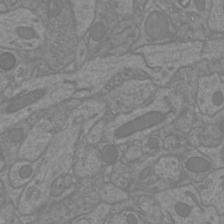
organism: Mouse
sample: Cortical neurons